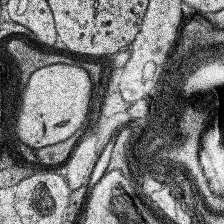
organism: Human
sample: Temporal Lobe